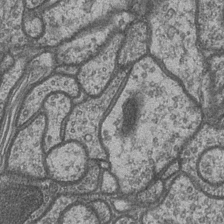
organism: Drosophila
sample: Optic medulla